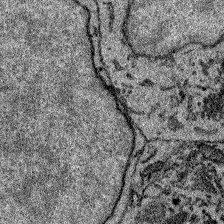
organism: Zebrafish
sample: Larval olfactory bulb